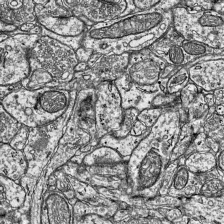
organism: Mouse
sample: Visual Cortex